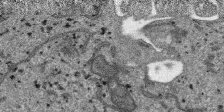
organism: Human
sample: Lung epithelial cells infected with SARS-CoV-2